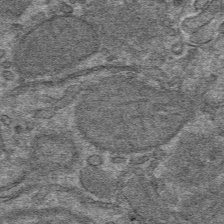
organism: Mouse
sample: Mouse hepatocytes